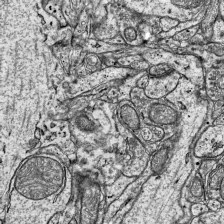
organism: Mouse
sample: Visual Cortex